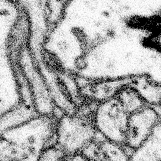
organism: Mouse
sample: Somatosensory cortex neuropil